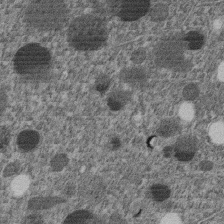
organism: C. elegans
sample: C. elegans embryo early stage